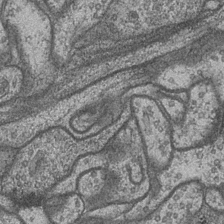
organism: Drosophila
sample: Optic medulla